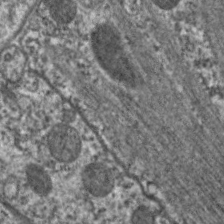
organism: C. elegans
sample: Pharynx